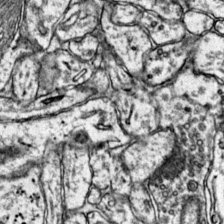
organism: Mouse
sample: Primary visual cortex